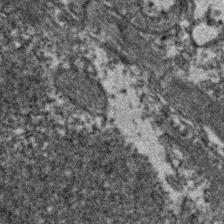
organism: Zebrafish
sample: Zebrafish embryo